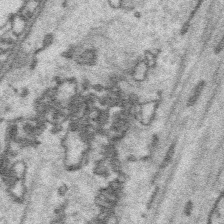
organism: Platynereis dumerilii